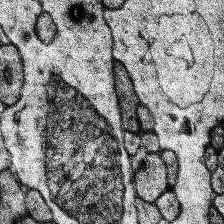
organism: Human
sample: Temporal Lobe